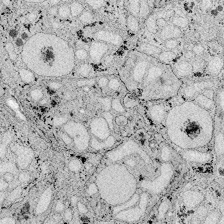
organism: Zebrafish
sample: Whole-Brain